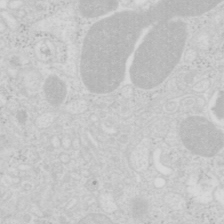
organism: Mouse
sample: Pancreas